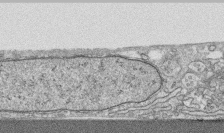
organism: Human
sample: CRL-1474